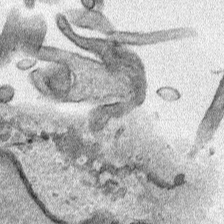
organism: Human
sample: Mitochondria in HCT116 cells